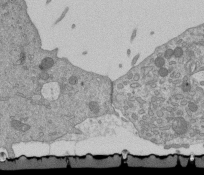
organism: Mouse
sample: ED-1 cell nuclei; centrioles